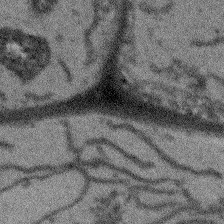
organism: Arabidopsis thaliana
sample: Root tip